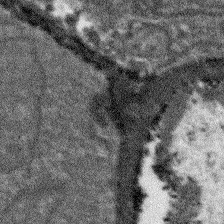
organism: Arabidopsis thaliana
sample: Root tip